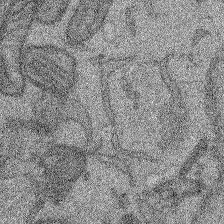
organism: Human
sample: HeLa cells